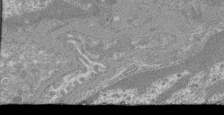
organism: Mouse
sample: Glomerulus